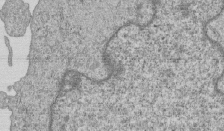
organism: Human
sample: MDA-MB-231 cells